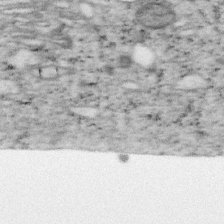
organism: Mouse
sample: OT-I killer T cells with ID8 ovarian cancer cells